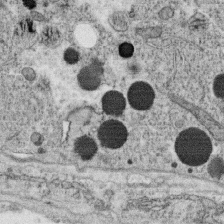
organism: C. elegans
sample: C. elegans oocyte; sperm cells